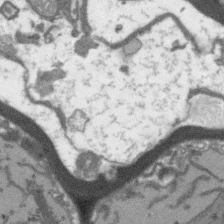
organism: Arabidopsis thaliana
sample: Root tip